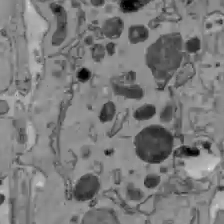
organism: C57BL Mouse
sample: Liver